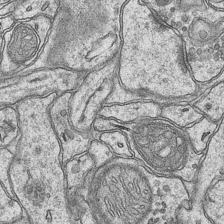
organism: Mouse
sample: CA1 Hippocampus